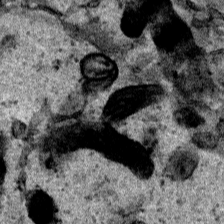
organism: Human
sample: Mitochondria in HCT116 cells